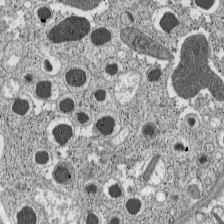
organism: C57BL Mouse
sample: Pancreatic islet